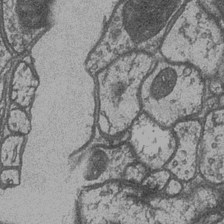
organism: Drosophila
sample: Optic medulla